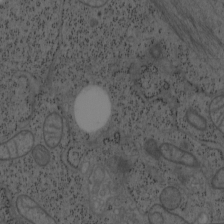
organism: Mouse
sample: OT-I killer T cells with ID8 ovarian cancer cells